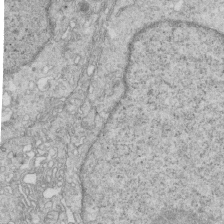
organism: Mouse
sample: Multiciliated cells